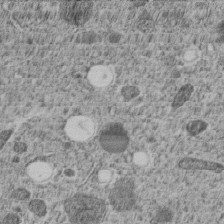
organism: C. elegans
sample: C. elegans embryo early stage